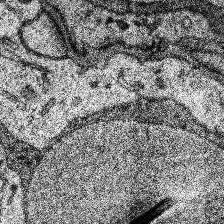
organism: Human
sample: Temporal Lobe